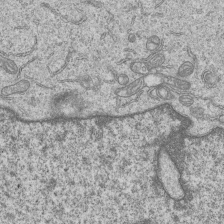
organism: Human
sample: MDA-MB-231 cells